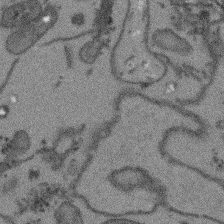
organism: Arabidopsis thaliana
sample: Root tip